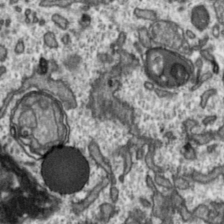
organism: Toxoplasma gondii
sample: Parasites in a vacuole inside a host cell